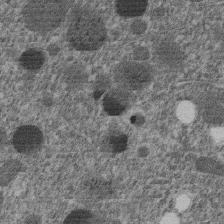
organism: C. elegans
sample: C. elegans embryo early stage